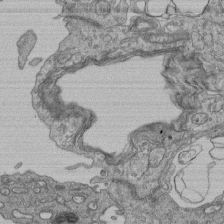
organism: Human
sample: Retinal organoid Rod and Cone cells